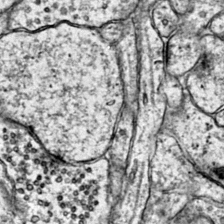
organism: Mouse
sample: Primary visual cortex